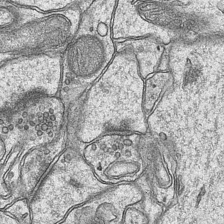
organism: Mouse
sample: CA1 Hippocampus